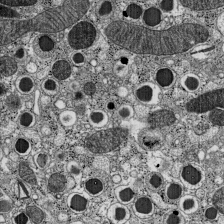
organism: C57BL Mouse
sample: Pancreatic islet